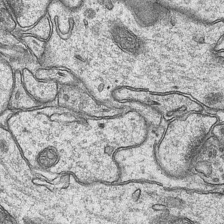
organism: Mouse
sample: CA1 Hippocampus